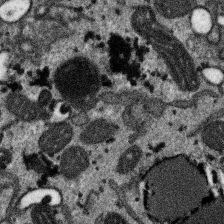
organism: Human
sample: Lung epithelial cells infected with SARS-CoV-2